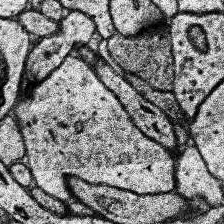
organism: Human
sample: Temporal Lobe